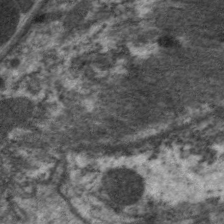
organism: C. elegans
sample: Pharynx